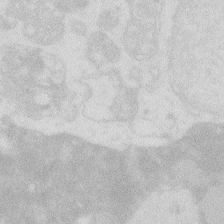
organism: Zebrafish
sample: Macrophage